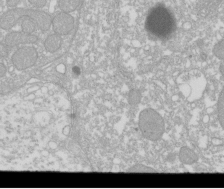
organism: Xenopus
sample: Cilia; centrioles in frog embryo cells